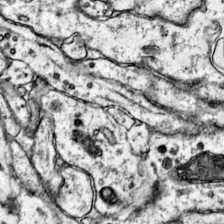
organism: Mouse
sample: Primary visual cortex